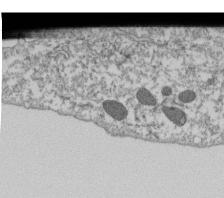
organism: Dictyostelium discoideum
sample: Dictyostelium multivesicular bodies